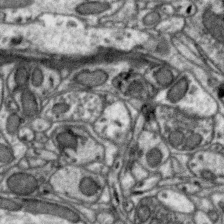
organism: Zebra finch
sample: Brain